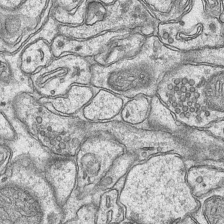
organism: Mouse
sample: CA1 Hippocampus